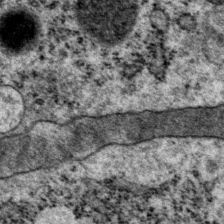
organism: P. pacificus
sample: Pharynx